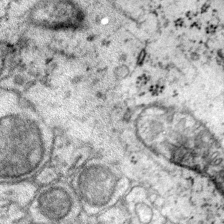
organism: Mouse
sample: Primary visual cortex